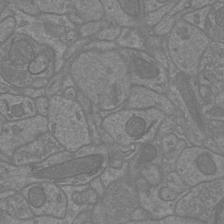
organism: Mouse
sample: Cortical neurons